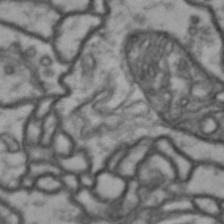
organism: Drosophila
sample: Brain